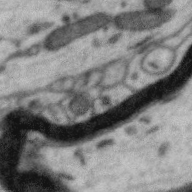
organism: Zebra finch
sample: Brain